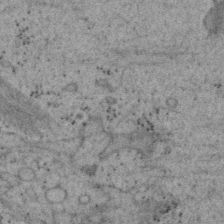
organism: Human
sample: HeLa cells